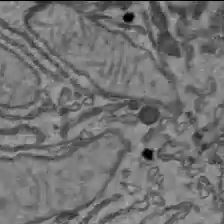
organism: C57BL Mouse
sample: Liver